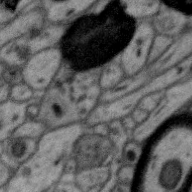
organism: Zebra finch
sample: Brain